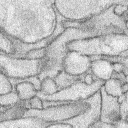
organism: Rabbit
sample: Retina